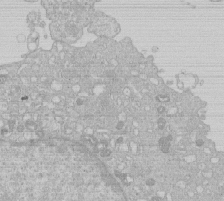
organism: Human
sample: Macrophage cells